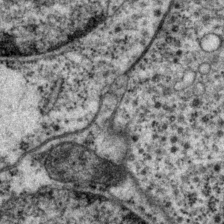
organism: P. pacificus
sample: Pharynx